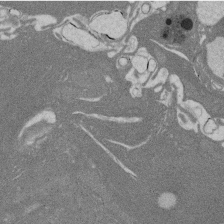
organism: Rat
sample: Salivary granule